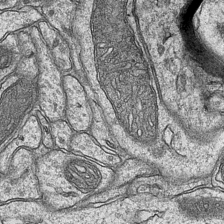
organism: Mouse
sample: CA1 Hippocampus